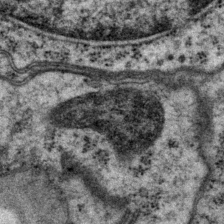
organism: P. pacificus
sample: Pharynx